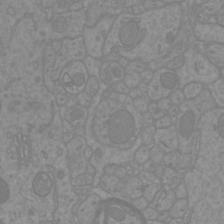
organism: Mouse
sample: Cortical neurons